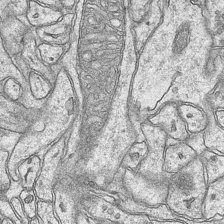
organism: Mouse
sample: CA1 Hippocampus